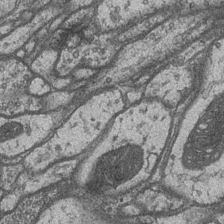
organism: Drosophila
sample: Optic medulla